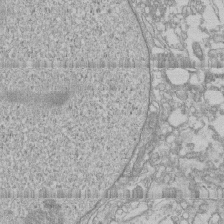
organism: Human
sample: CRL-1474